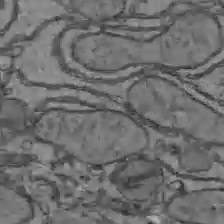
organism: C57BL Mouse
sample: Liver